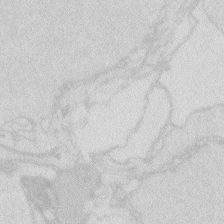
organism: Zebrafish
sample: Macrophage